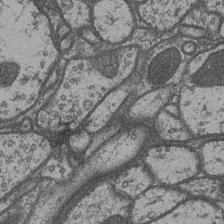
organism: Drosophila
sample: Optic medulla